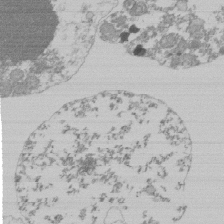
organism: Mouse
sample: Activated Pmel transgenic CD8+ T Cells